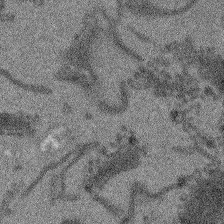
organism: Arabidopsis thaliana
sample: Root tip